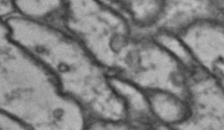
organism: Drosophila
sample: Brain